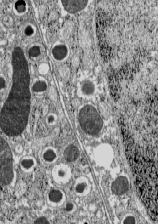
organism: C57BL Mouse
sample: Pancreatic islet